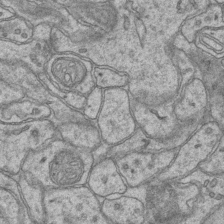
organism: Mouse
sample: CA1 Hippocampus